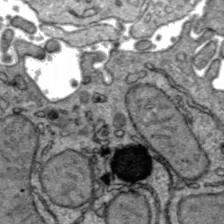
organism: C57BL Mouse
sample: Liver